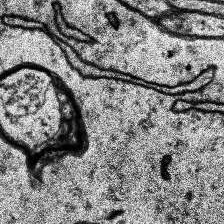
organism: Human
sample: Temporal Lobe